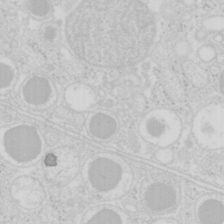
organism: Mouse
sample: Pancreas